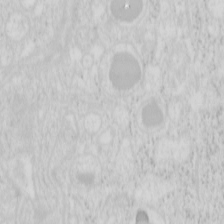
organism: Mouse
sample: Pancreas